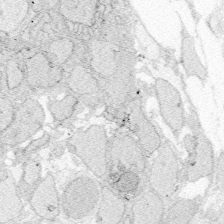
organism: Zebrafish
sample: Whole-Brain